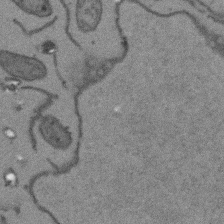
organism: Arabidopsis thaliana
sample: Root tip